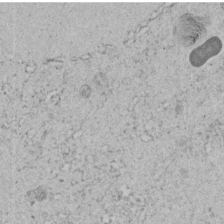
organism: C. elegans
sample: C. elegans embryo early stage